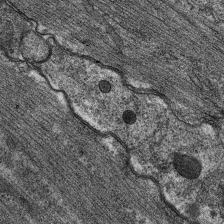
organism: C. elegans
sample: Pharynx